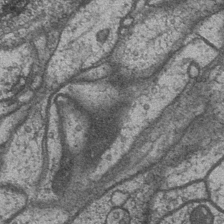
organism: Drosophila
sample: Optic medulla